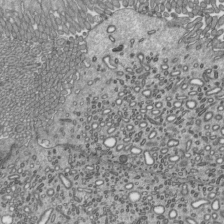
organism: Mouse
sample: Mouse epididymis efferent ductule cilia